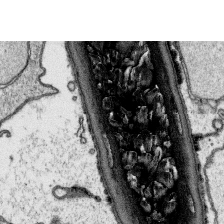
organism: Platynereis dumerilii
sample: Parapodia